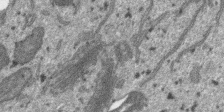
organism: Human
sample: Lung epithelial cells infected with SARS-CoV-2